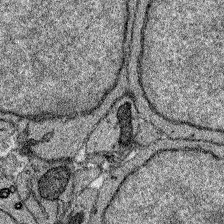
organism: Zebrafish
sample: Larval olfactory bulb